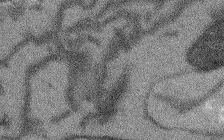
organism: Arabidopsis thaliana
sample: Root tip